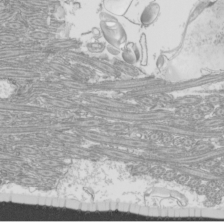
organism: Mouse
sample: Cilia; mouse epididymis